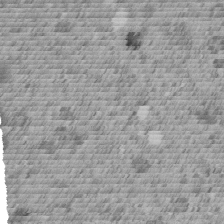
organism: C. elegans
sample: C. elegans embryo early stage